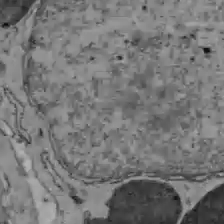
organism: C57BL Mouse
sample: Liver